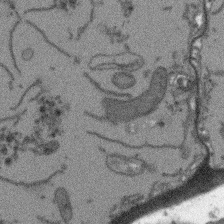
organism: Arabidopsis thaliana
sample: Root tip